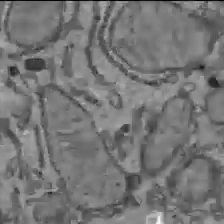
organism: C57BL Mouse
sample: Liver